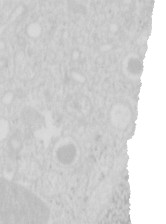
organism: Mouse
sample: Pancreas